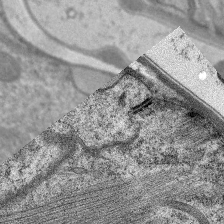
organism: C. elegans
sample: Pharynx